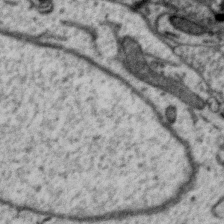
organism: Zebra finch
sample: Brain